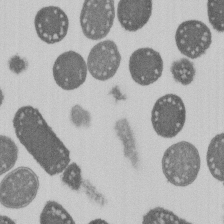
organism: E. coli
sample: Bacterial nucleoid